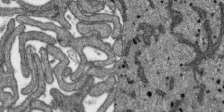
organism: Human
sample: Lung epithelial cells, uninfected (mock) control